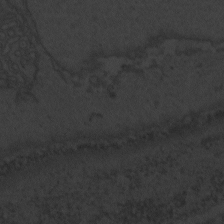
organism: Zebrafish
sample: Macrophage infected with Toxoplasma gondii